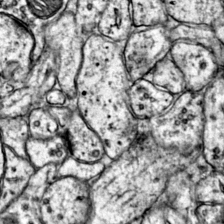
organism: Mouse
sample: Primary visual cortex